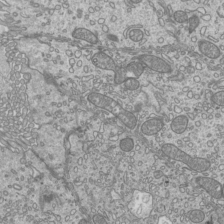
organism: Mouse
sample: Cilia; mouse epididymis